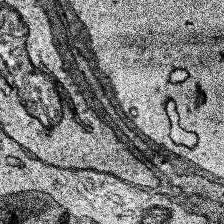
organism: Human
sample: Temporal Lobe